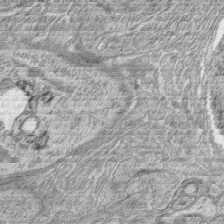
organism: Zebrafish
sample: synaptic ribbons in rod cells and cone cells